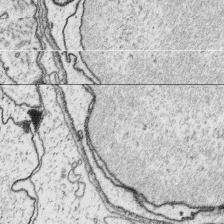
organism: Platynereis dumerilii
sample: Parapodia